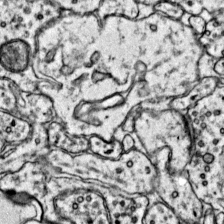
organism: Mouse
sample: Primary visual cortex